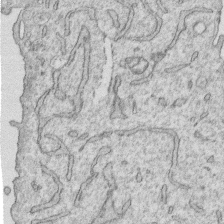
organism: Human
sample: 1205lu cells